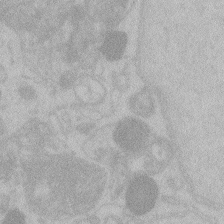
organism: Zebrafish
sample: Macrophage infected with Toxoplasma gondii